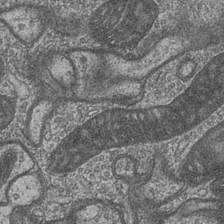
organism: Drosophila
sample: Optic medulla